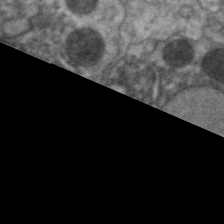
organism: C. elegans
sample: Pharynx